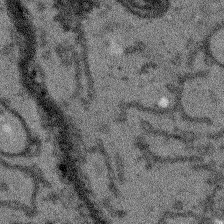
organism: Arabidopsis thaliana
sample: Root tip